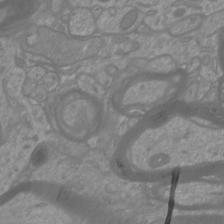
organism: Mouse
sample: Cortical neurons